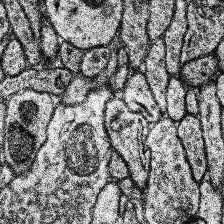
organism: Human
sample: Temporal Lobe